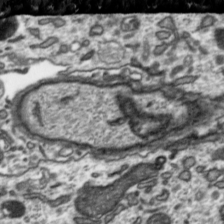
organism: Toxoplasma gondii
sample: Parasites in a vacuole inside a host cell